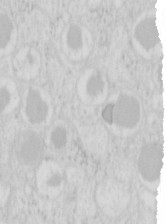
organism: Mouse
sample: Pancreas